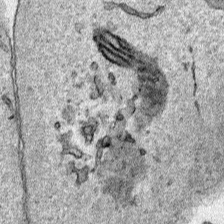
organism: Human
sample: Mitochondria in HCT116 cells